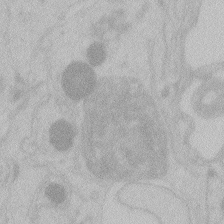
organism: Zebrafish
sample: Macrophage infected with Toxoplasma gondii